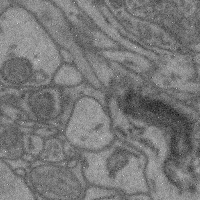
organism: Mouse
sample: Cerebral cortex